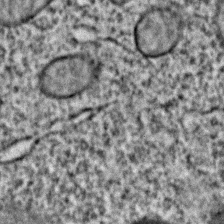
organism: C. elegans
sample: C. elegans embryo